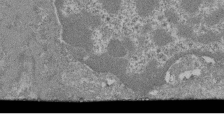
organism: Mouse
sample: Glomerulus